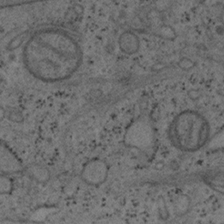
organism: Human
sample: HeLa cells